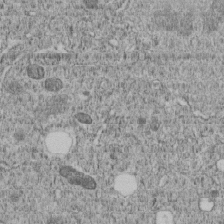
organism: C. elegans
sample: C. elegans embryo early stage